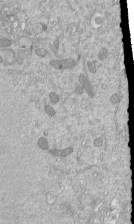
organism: Mouse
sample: ED-1 cell nuclei; centrioles